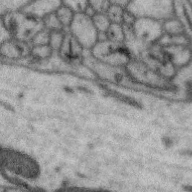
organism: Zebra finch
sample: Brain